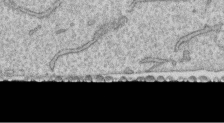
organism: Human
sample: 1205lu cells